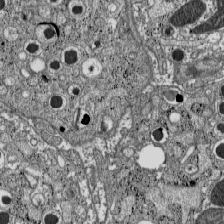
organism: C57BL Mouse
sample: Pancreatic islet